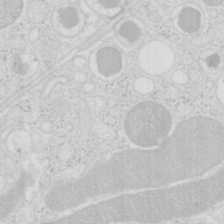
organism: Mouse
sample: Pancreas